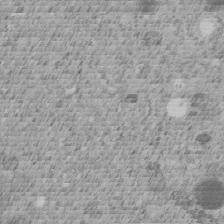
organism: C. elegans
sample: C. elegans embryo early stage